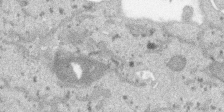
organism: Human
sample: Lung epithelial cells infected with SARS-CoV-2